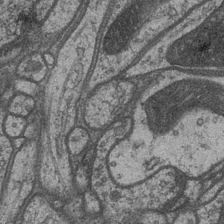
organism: Drosophila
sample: Optic medulla